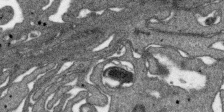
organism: Human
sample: Lung epithelial cells, uninfected (mock) control